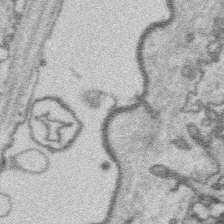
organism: Platynereis dumerilii